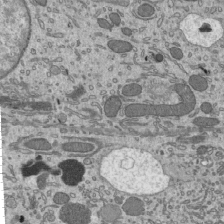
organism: Mouse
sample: Mouse epididymis efferent ductule cilia